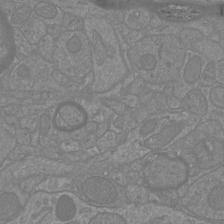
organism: Mouse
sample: Cortical neurons